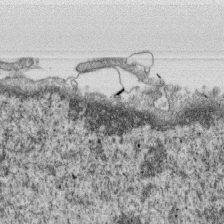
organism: African green monkey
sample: Vero E6 cells infected with SARS-CoV-2